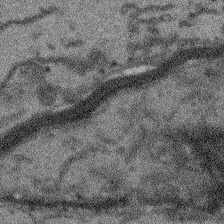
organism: Arabidopsis thaliana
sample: Root tip